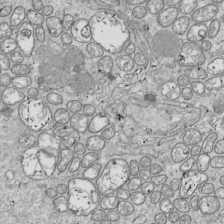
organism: Drosophila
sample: Cell division; meiosis; drosophila spermatocytes